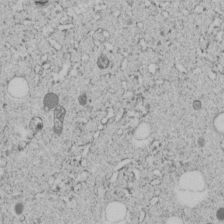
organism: C. elegans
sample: C. elegans embryo early stage